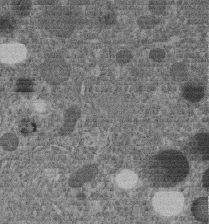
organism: C. elegans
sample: C. elegans embryo early stage